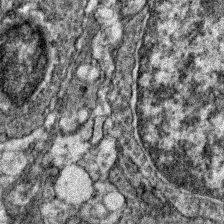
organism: Zebrafish